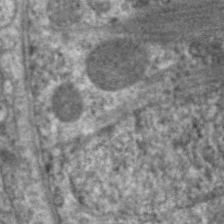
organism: C. elegans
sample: Pharynx